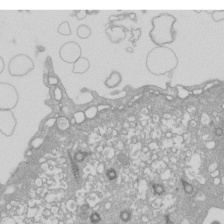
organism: Xenopus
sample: Cilia; centrioles in frog embryo cells